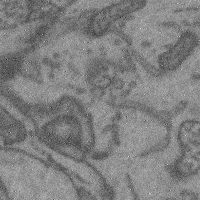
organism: Mouse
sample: Cerebral cortex